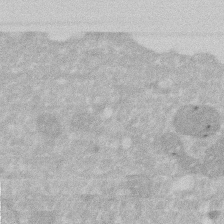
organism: Human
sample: HIV infected U937 cells